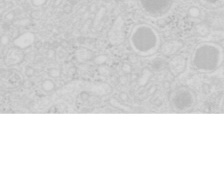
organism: Mouse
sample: Pancreas